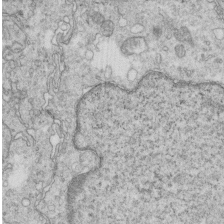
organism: Mouse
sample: Multiciliated cells